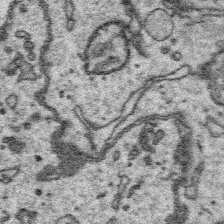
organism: Platynereis dumerilii